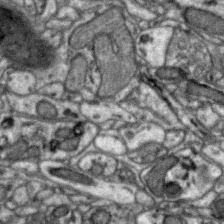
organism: Zebra finch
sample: Brain